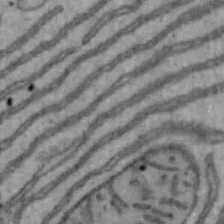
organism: Mouse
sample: Liver